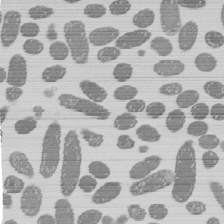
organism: E. coli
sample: Bacterial nucleoid